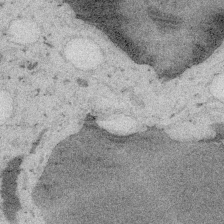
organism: Embia sp.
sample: Silk gland